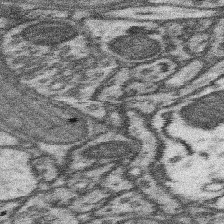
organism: Mouse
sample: Somatosensory cortex neuropil